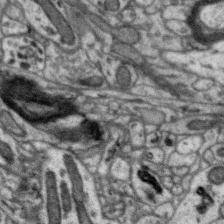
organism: Zebra finch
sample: Brain